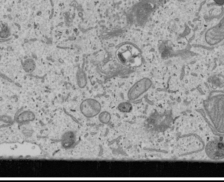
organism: Human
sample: Mitochondria in U2OS cells